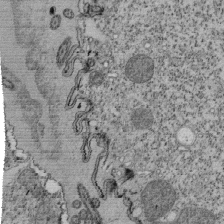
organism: Tetrahymena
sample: Cilia in tetrahymena